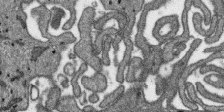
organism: Human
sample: Lung epithelial cells, uninfected (mock) control